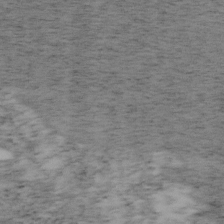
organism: Mouse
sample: OT-I killer T cells with ID8 ovarian cancer cells